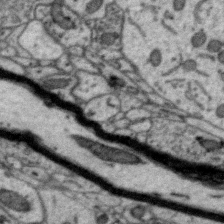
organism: Zebra finch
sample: Brain